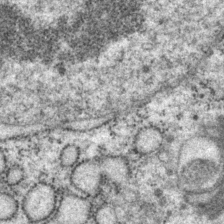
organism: P. pacificus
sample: Pharynx